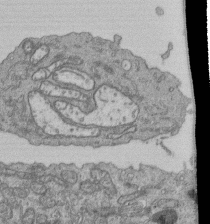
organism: Human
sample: Retinal organoid Rod and Cone cells